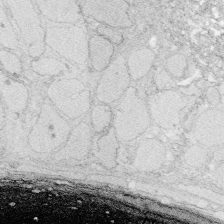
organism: Zebrafish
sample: Whole-Brain